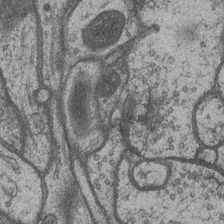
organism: Drosophila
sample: Optic medulla